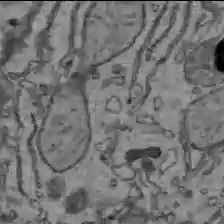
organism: C57BL Mouse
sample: Liver